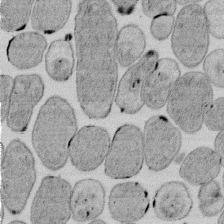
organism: E. coli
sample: Bacterial nucleoid